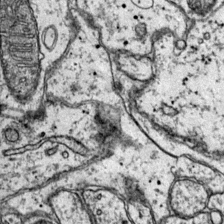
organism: Mouse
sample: Primary visual cortex